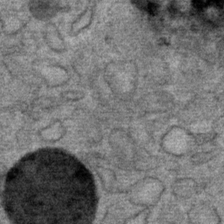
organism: Mouse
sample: Mouse Salivary gland